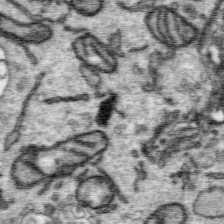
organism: Human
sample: HeLa cells